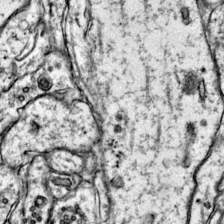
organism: Mouse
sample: Primary visual cortex